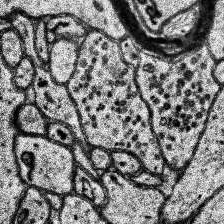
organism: Human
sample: Temporal Lobe